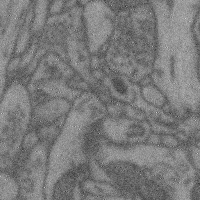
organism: Mouse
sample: Cerebral cortex